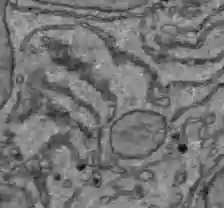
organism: C57BL Mouse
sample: Liver